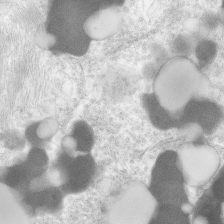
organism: Human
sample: Neocortex